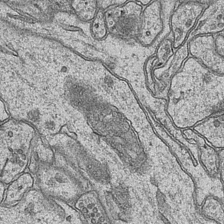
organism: Mouse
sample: CA1 Hippocampus